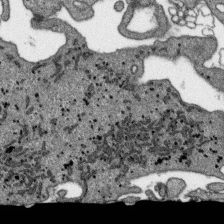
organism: Human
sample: Lung epithelial cells, uninfected (mock) control